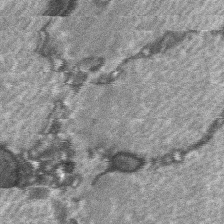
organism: C57BL Mouse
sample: Soleus